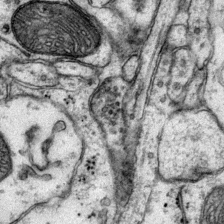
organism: Mouse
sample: Primary visual cortex